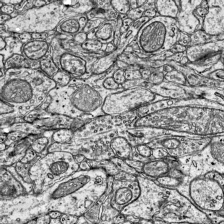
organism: Mouse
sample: Visual Cortex